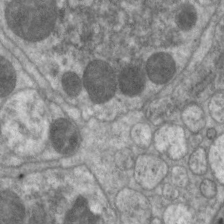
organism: C. elegans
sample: Pharynx